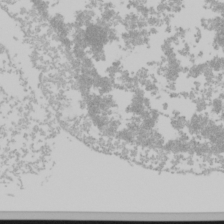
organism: Mouse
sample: Cancer cell death in ED-1 cells